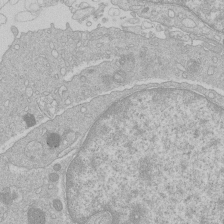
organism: Human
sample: Macrophage cells